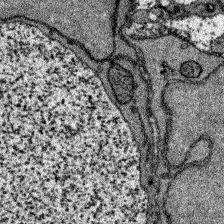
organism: Zebrafish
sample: Larval olfactory bulb